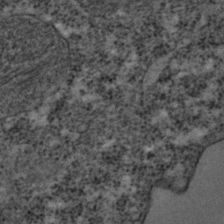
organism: C. elegans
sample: C. elegans embryo